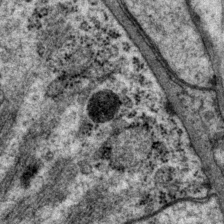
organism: P. pacificus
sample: Pharynx